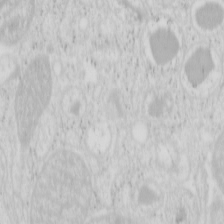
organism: Mouse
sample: Pancreas